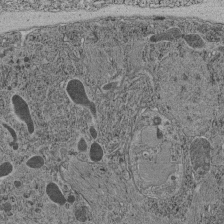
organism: C. elegans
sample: C. elegans pharynx